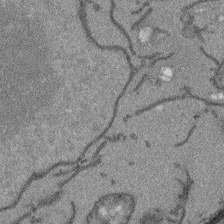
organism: Arabidopsis thaliana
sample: Root tip